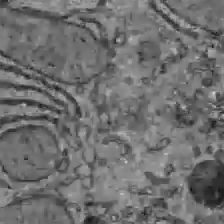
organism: C57BL Mouse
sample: Liver